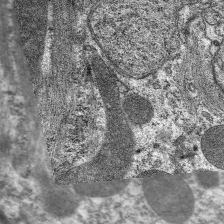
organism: C. elegans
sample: Pharynx